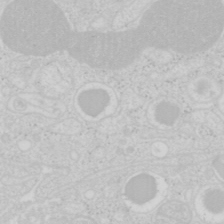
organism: Mouse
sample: Pancreas